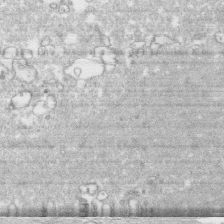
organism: Human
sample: CRL-1474